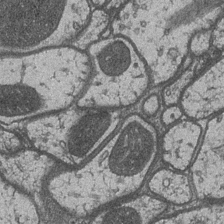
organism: Drosophila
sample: Optic medulla